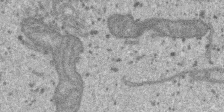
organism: Human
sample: Lung epithelial cells infected with SARS-CoV-2